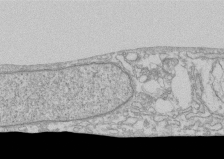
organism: Human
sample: CRL-1474